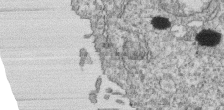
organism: Human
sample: HeLa cell HIV synapse